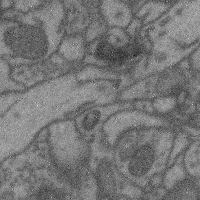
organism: Mouse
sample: Cerebral cortex